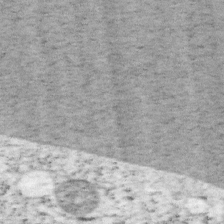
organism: Mouse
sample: OT-I killer T cells with ID8 ovarian cancer cells